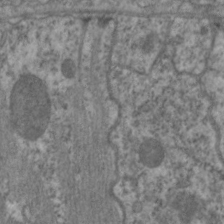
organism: C. elegans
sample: Pharynx